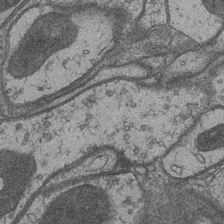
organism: Drosophila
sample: Optic medulla